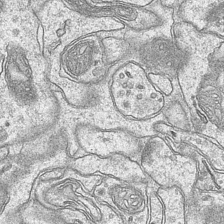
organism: Mouse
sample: CA1 Hippocampus